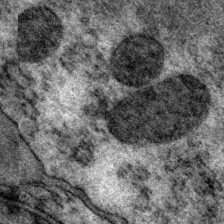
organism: P. pacificus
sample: Pharynx